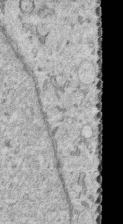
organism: Human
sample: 1205lu cells